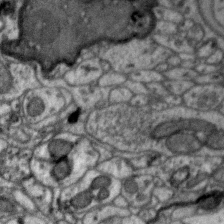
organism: Zebra finch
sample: Brain